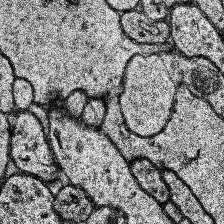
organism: Human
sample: Temporal Lobe